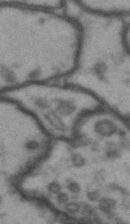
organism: Drosophila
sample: Brain